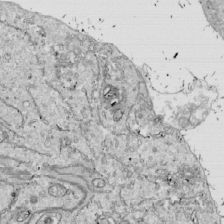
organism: Drosophila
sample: Cell division; meiosis; drosophila spermatocytes